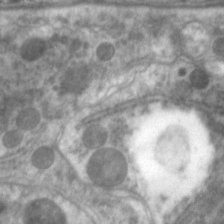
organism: C. elegans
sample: Pharynx